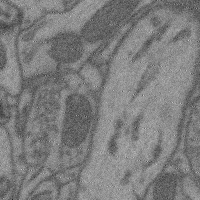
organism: Mouse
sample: Cerebral cortex